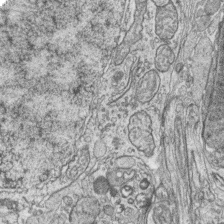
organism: Zebrafish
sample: synaptic ribbons in rod cells and cone cells